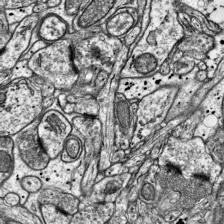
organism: Mouse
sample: Visual Cortex